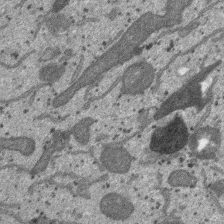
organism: Human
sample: Lung epithelial cells infected with SARS-CoV-2